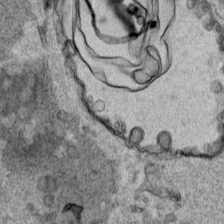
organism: Human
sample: Mitochondria in HCT116 cells